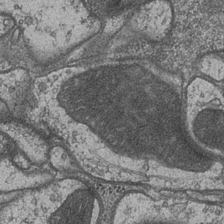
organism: Drosophila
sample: Optic medulla